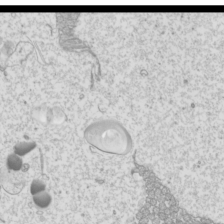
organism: Mouse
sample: Cilia; mouse epididymis